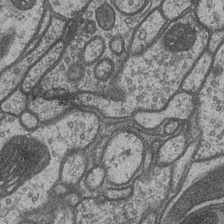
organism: Drosophila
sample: Optic medulla